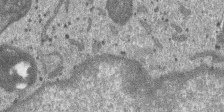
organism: Human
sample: Lung epithelial cells infected with SARS-CoV-2